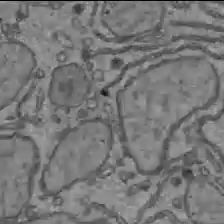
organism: C57BL Mouse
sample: Liver